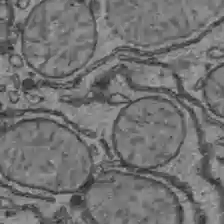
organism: C57BL Mouse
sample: Liver